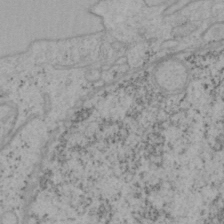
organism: Human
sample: HeLa cells